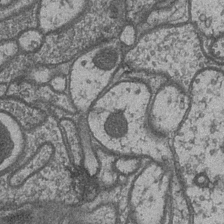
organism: Drosophila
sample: Optic medulla